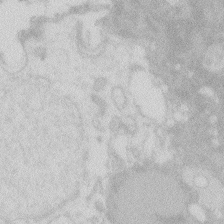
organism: Zebrafish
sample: Macrophage